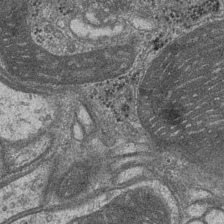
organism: Drosophila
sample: Optic medulla